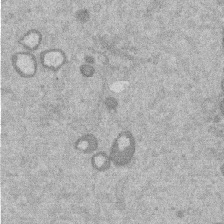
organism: Mouse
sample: Dividing mouse embryo 1 cell stage